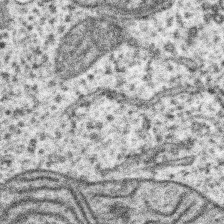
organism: Human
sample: HeLa cells